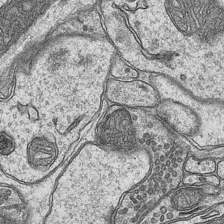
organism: Mouse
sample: CA1 Hippocampus